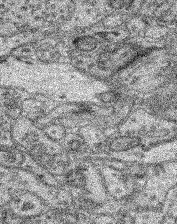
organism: Mouse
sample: Retina